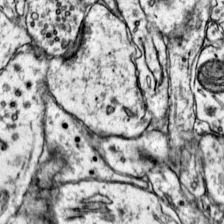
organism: Mouse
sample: Primary visual cortex